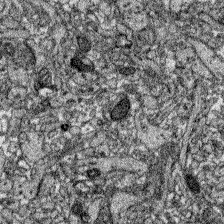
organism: Zebrafish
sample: Larval olfactory bulb